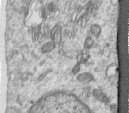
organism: Human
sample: Centriole in RPE cells